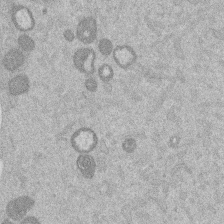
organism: Mouse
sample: Dividing mouse embryo 1 cell stage